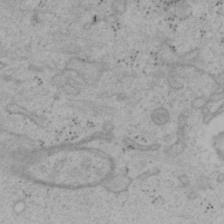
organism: Human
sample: HeLa cells